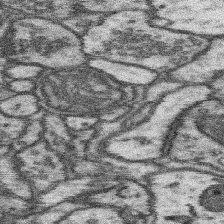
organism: Mouse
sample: Somatosensory cortex neuropil